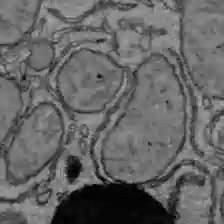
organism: C57BL Mouse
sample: Liver